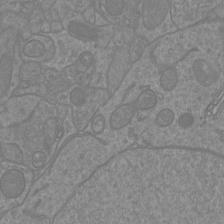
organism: Mouse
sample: Cortical neurons